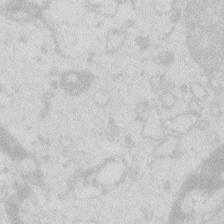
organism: Zebrafish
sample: Macrophage